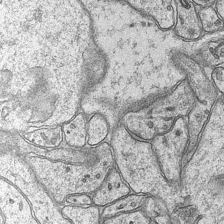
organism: Mouse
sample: CA1 Hippocampus